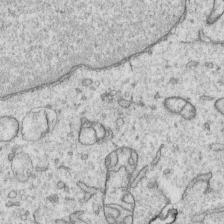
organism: Human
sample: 1205lu cells